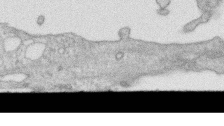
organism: Human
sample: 1205lu cells